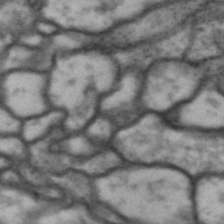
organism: Drosophila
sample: Brain